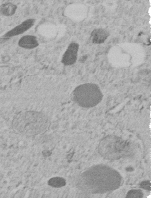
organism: C. elegans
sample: C. elegans embryo early stage